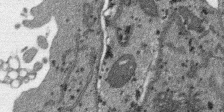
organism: Human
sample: Lung epithelial cells infected with SARS-CoV-2